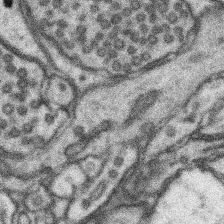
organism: Mouse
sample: Somatosensory cortex neuropil